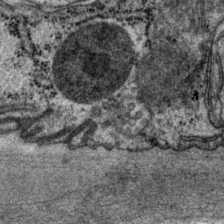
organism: P. pacificus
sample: Pharynx